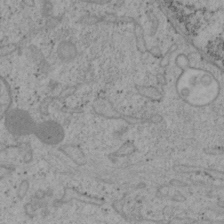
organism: Human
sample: HeLa cells